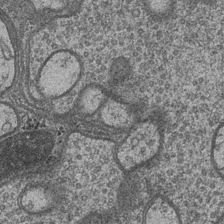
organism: Drosophila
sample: Optic medulla